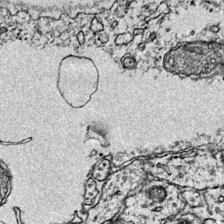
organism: Mouse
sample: Primary visual cortex